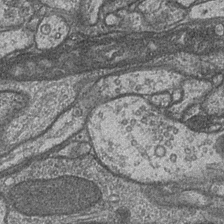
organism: Drosophila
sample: Optic medulla